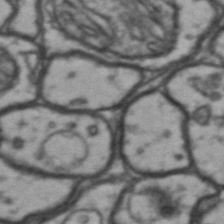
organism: Drosophila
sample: Brain